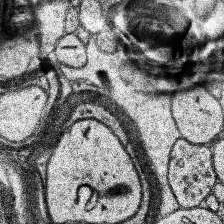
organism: Human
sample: Temporal Lobe